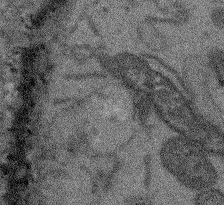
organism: Arabidopsis thaliana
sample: Root tip